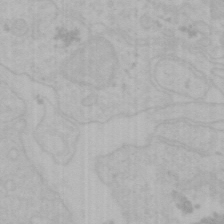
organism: Mouse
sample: Choroid plexus